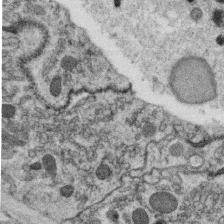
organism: C. elegans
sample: C. elegans oocyte; sperm cells